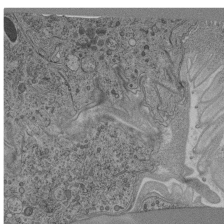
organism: C. elegans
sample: C. elegans pharynx